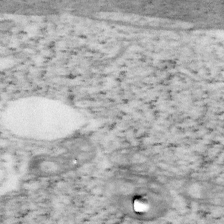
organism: Mouse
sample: OT-I killer T cells with ID8 ovarian cancer cells